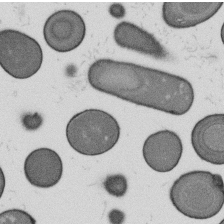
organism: B. subtilis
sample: Bacterial spore